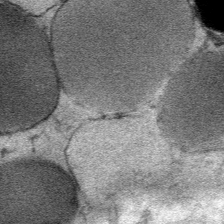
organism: Mouse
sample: Mouse Salivary gland